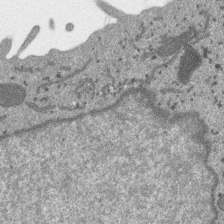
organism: Human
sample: Lung epithelial cells infected with SARS-CoV-2